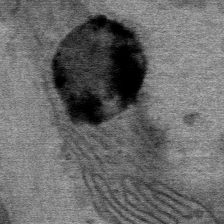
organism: Mouse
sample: Mouse Salivary gland